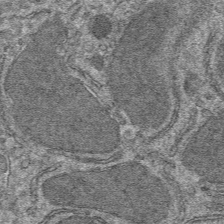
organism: Mouse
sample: Mouse hepatocytes